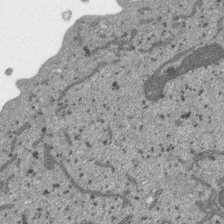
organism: Human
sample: Lung epithelial cells infected with SARS-CoV-2